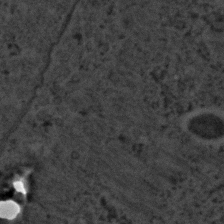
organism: C. elegans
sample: C. elegans embryo